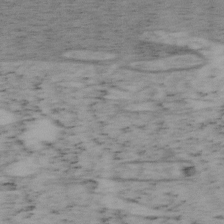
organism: Mouse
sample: OT-I killer T cells with ID8 ovarian cancer cells